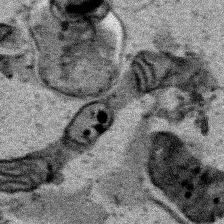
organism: Human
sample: Mitochondria in HCT116 cells